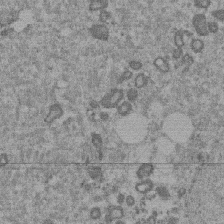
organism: Mouse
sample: Dividing mouse embryo 1 cell stage